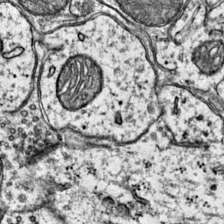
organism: Mouse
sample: Primary visual cortex